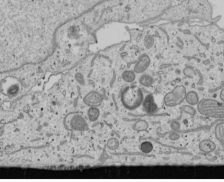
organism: Human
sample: Mitochondria in U2OS cells